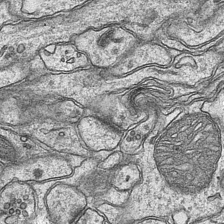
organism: Mouse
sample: CA1 Hippocampus